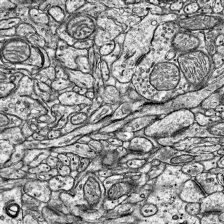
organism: Mouse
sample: Visual Cortex